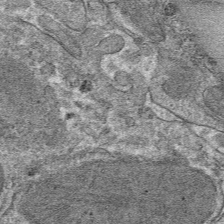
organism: Mouse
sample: Mouse hepatocytes